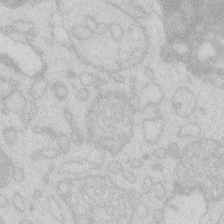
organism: Zebrafish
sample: Macrophage